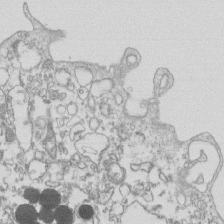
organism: Mouse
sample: Macrophages